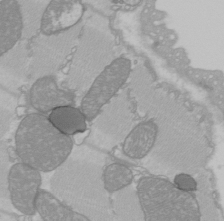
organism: C57BL Mouse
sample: Heart